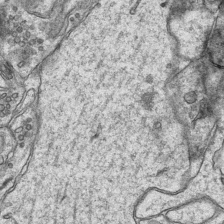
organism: Mouse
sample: CA1 Hippocampus